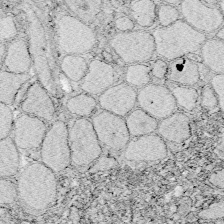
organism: Zebrafish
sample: Whole-Brain